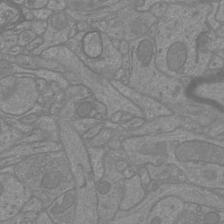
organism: Mouse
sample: Cortical neurons